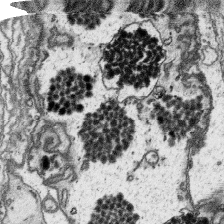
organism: Platynereis dumerilii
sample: Parapodia